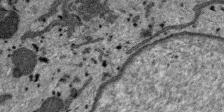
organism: Human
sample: Lung epithelial cells, uninfected (mock) control